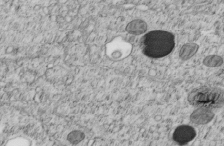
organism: C. elegans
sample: C. elegans embryo early stage